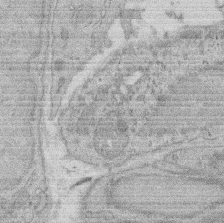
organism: Rat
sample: Salivary granule